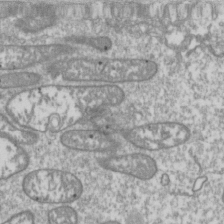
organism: Drosophila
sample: Cell division; meiosis; drosophila spermatocytes